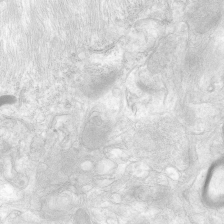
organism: Human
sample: Neocortex